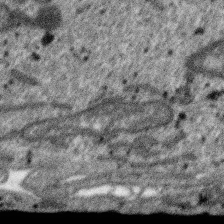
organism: Human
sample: Lung epithelial cells infected with SARS-CoV-2